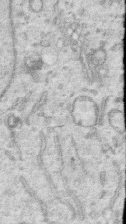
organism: Human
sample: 1205lu cells